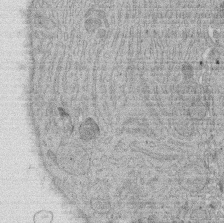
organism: Rat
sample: Salivary granule